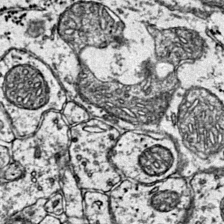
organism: Mouse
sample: Primary visual cortex